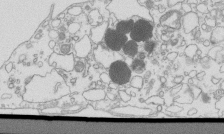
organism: Mouse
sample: Macrophages